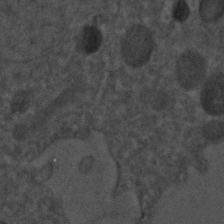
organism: C. elegans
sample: C. elegans embryo